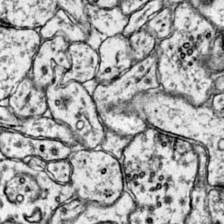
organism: Mouse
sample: Primary visual cortex